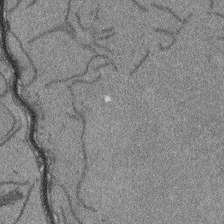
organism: Arabidopsis thaliana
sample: Root tip